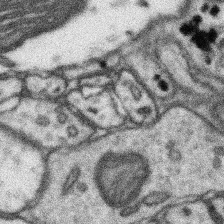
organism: Mouse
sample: Somatosensory cortex neuropil